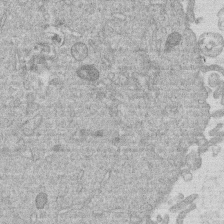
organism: Human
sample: Macrophage cells